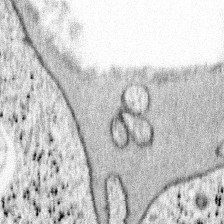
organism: Human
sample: HeLa cells